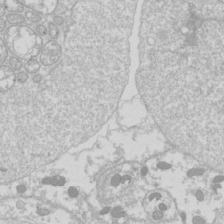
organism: Drosophila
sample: Cell division; meiosis; drosophila spermatocytes